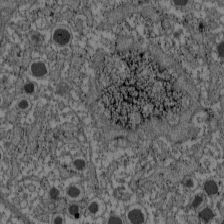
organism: C57BL Mouse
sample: Pancreatic islet